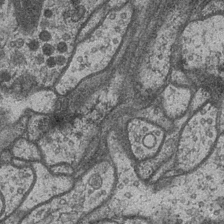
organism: Drosophila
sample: Optic medulla